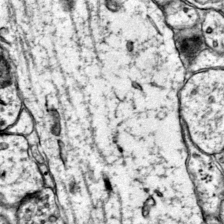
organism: Mouse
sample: Primary visual cortex